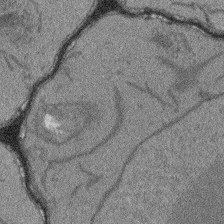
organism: Arabidopsis thaliana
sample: Root tip